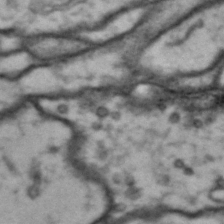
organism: Drosophila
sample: Brain